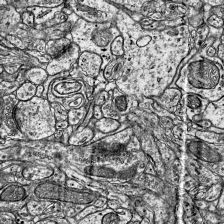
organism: Mouse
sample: Visual Cortex